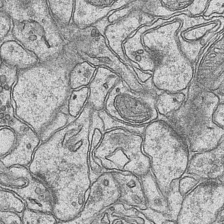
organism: Mouse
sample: CA1 Hippocampus